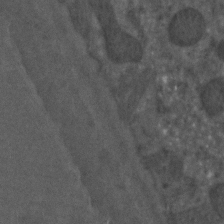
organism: C. elegans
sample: C. elegans embryo